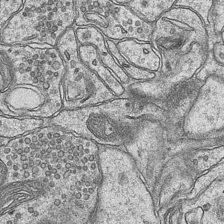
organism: Mouse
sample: CA1 Hippocampus